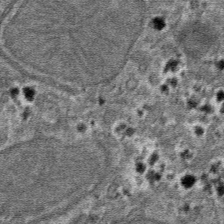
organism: Mouse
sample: Mouse hepatocytes